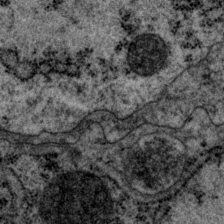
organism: P. pacificus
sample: Pharynx